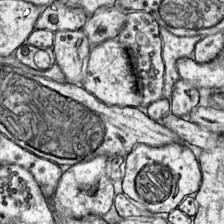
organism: Mouse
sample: Primary visual cortex